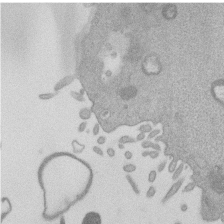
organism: Mouse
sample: Dividing mouse embryo 1 cell stage